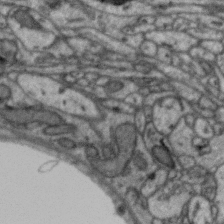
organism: Zebra finch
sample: Brain